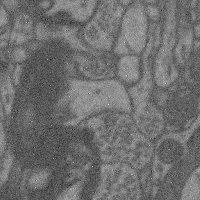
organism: Mouse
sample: Cerebral cortex